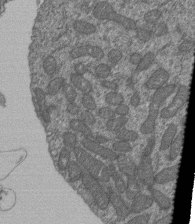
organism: Human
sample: Retinal organoid Rod and Cone cells